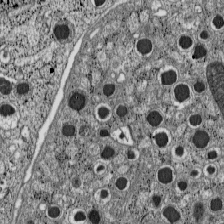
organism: C57BL Mouse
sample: Pancreatic islet